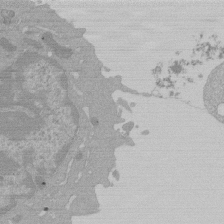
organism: Mouse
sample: Activated Pmel transgenic CD8+ T Cells